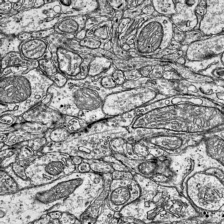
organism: Mouse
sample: Visual Cortex